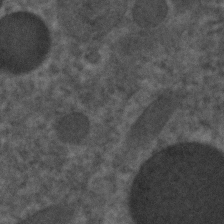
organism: C. elegans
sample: C. elegans embryo